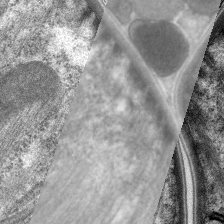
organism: C. elegans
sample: Pharynx